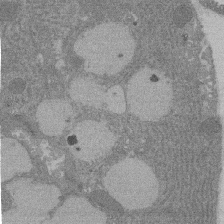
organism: Rat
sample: Salivary granule